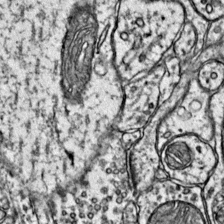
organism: Mouse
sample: Primary visual cortex